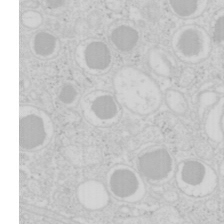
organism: Mouse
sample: Pancreas